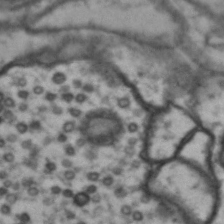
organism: Drosophila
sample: Brain